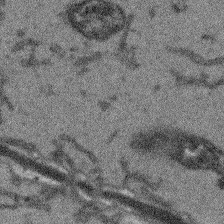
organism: Arabidopsis thaliana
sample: Root tip